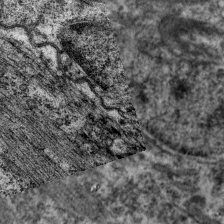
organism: C. elegans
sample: Pharynx